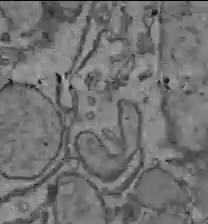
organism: C57BL Mouse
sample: Liver